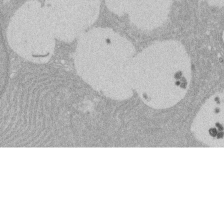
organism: Rat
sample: Salivary granule